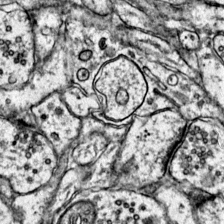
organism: Mouse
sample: Primary visual cortex